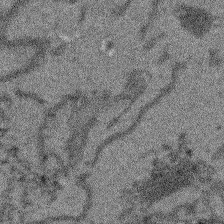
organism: Arabidopsis thaliana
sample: Root tip